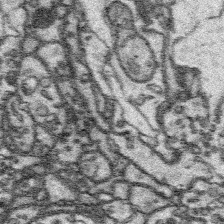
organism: Platynereis dumerilii